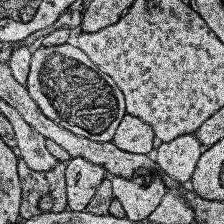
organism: Human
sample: Temporal Lobe